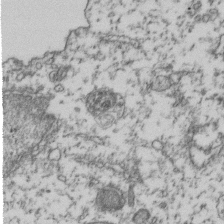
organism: Human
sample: Activated Jurkat CD4+ T cells